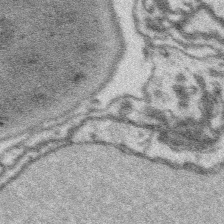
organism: Platynereis dumerilii